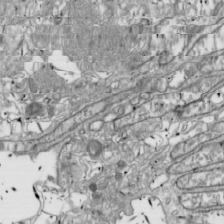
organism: Drosophila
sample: Cell division; meiosis; drosophila spermatocytes